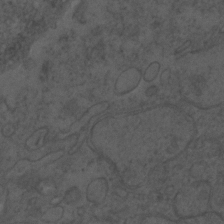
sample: Trachea